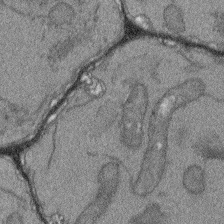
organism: Arabidopsis thaliana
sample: Root tip